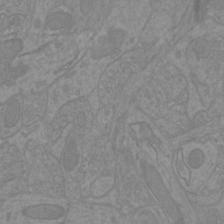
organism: Mouse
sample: Cortical neurons